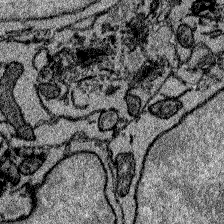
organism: Zebrafish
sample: Larval olfactory bulb